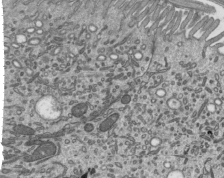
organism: Mouse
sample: Mouse epididymis efferent ductule cilia